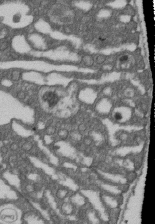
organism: Drosophila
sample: Nephrocyte